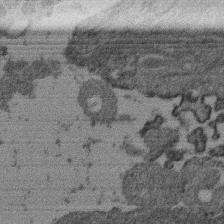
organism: Mouse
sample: Dividing mouse embryo 1 cell stage